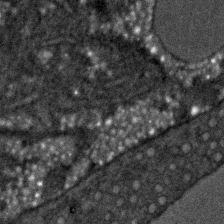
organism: C. elegans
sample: C. elegans embryo